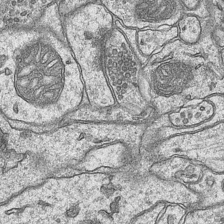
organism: Mouse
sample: CA1 Hippocampus